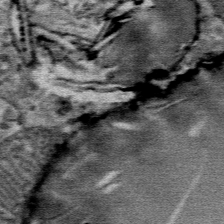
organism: Mouse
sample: Mouse Salivary gland